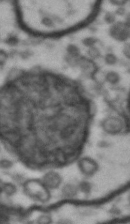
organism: Drosophila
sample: Brain